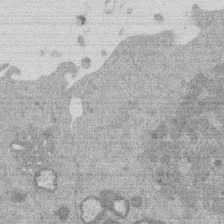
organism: Mouse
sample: Dividing mouse embryo 1 cell stage